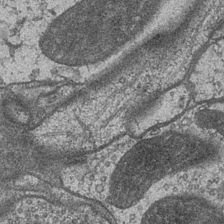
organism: Drosophila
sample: Optic medulla